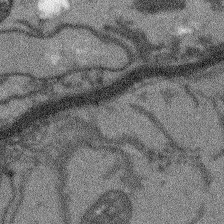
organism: Arabidopsis thaliana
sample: Root tip